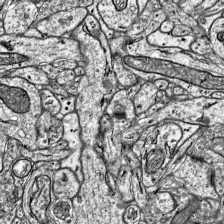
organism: Mouse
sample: Visual Cortex